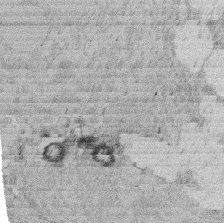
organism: Rat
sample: Salivary granule